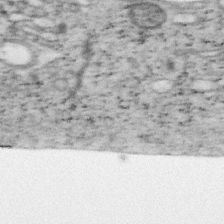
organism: Mouse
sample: OT-I killer T cells with ID8 ovarian cancer cells